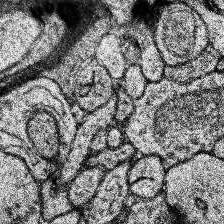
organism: Human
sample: Temporal Lobe